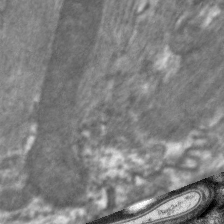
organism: C. elegans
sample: Pharynx